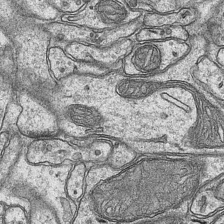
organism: Mouse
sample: CA1 Hippocampus